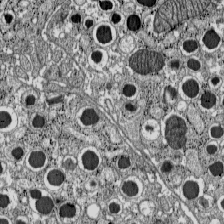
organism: C57BL Mouse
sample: Pancreatic islet